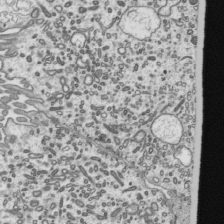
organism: Mouse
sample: Mouse epididymis efferent ductule cilia